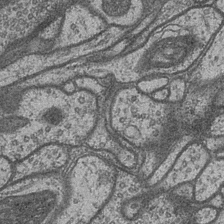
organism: Drosophila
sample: Optic medulla